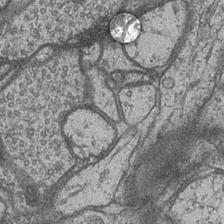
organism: Drosophila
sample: Optic medulla